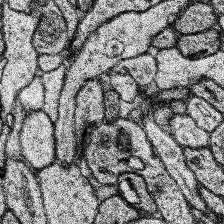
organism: Human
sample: Temporal Lobe